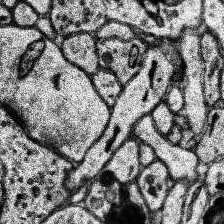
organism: Human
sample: Temporal Lobe